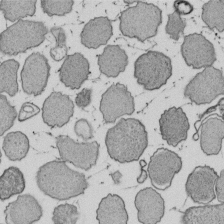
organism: E. coli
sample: Bacterial nucleoid